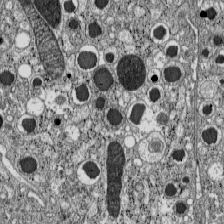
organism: C57BL Mouse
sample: Pancreatic islet